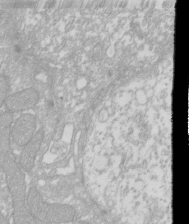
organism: Xenopus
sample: Cilia; centrioles in frog embryo cells